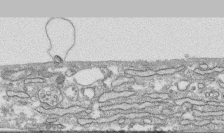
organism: Human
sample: CRL-1474